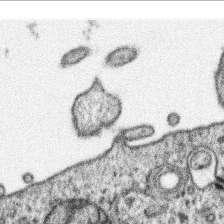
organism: Human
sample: HeLa cells